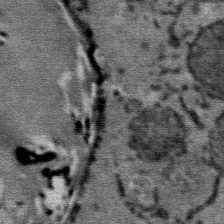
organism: Mouse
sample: Mouse Salivary gland